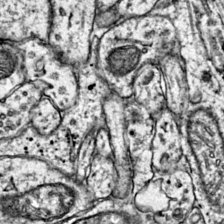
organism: Mouse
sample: Primary visual cortex